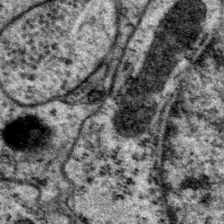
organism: P. pacificus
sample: Pharynx